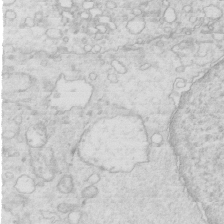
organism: Mouse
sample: Multiciliated cells